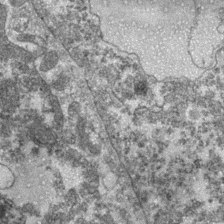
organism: Zebrafish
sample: Zebrafish embryo